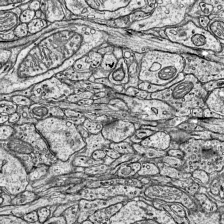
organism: Mouse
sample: Visual Cortex